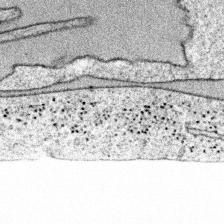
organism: Human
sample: HeLa cells